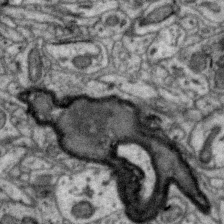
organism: Zebra finch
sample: Brain